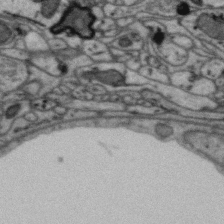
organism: Zebra finch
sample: Brain